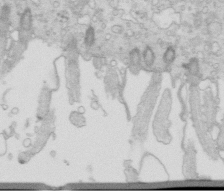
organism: Mouse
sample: Multiciliated cells